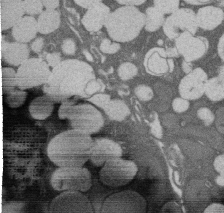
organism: Rat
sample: Salivary granule